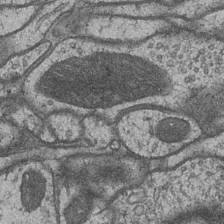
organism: Drosophila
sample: Optic medulla